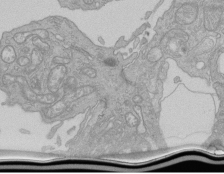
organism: Human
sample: Retinal organoid Rod and Cone cells